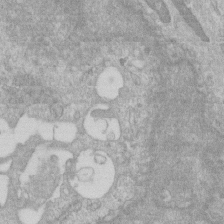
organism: Human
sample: Centriole in RPE cells